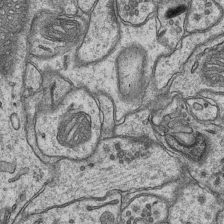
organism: Mouse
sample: CA1 Hippocampus